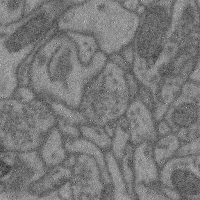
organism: Mouse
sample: Cerebral cortex